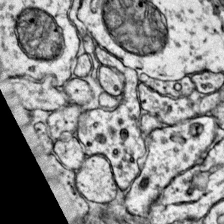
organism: Mouse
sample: Primary visual cortex